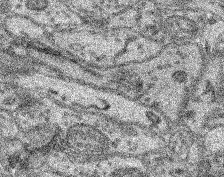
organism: Mouse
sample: Retina